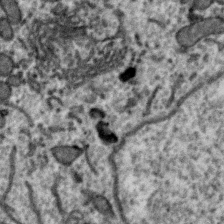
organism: Zebra finch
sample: Brain